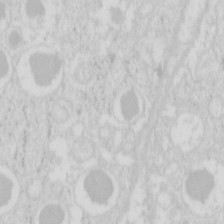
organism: Mouse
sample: Pancreas